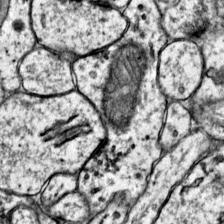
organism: Mouse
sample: Primary visual cortex